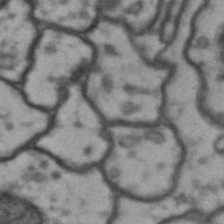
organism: Drosophila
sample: Brain